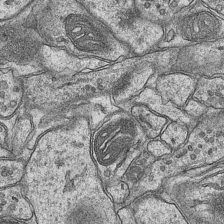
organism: Mouse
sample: CA1 Hippocampus